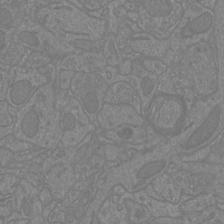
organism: Mouse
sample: Cortical neurons